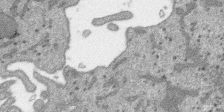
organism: Human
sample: Lung epithelial cells infected with SARS-CoV-2